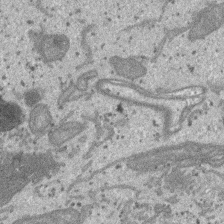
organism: Human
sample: Lung epithelial cells infected with SARS-CoV-2